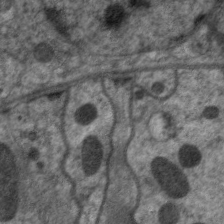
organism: C. elegans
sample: Pharynx